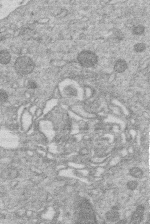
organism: Human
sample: Macrophage cells